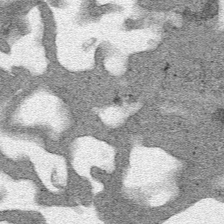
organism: Human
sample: Mitochondria in HCT116 cells